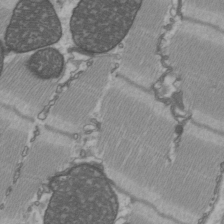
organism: C57BL Mouse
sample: Heart